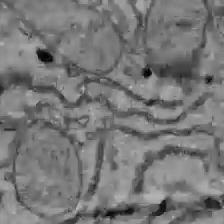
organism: C57BL Mouse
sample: Liver